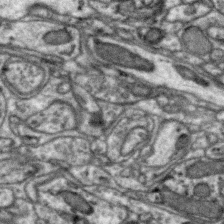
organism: Zebra finch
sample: Brain